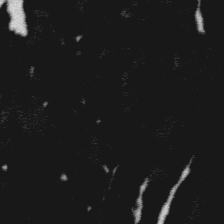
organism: Platynereis dumerilii